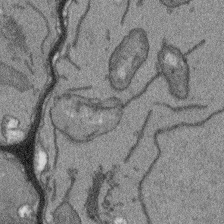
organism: Arabidopsis thaliana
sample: Root tip